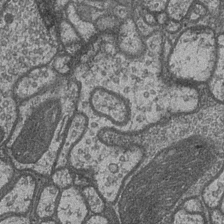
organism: Drosophila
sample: Optic medulla